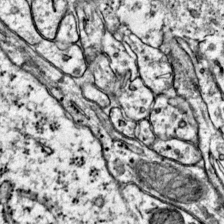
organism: Mouse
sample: Primary visual cortex